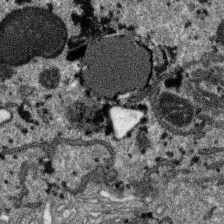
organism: Human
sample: Lung epithelial cells infected with SARS-CoV-2